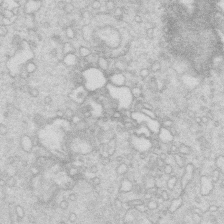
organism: Mouse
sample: Multiciliated cells